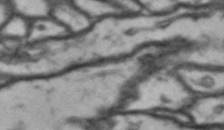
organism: Drosophila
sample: Brain